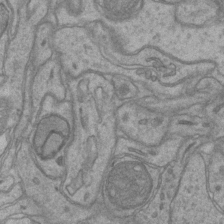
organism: Mouse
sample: CA1 Hippocampus